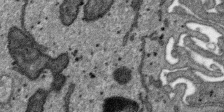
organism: Human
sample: Lung epithelial cells, uninfected (mock) control